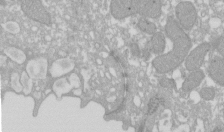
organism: Xenopus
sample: Cilia; centrioles in frog embryo cells